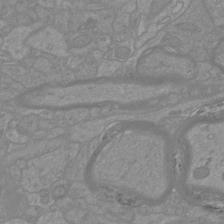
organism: Mouse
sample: Cortical neurons